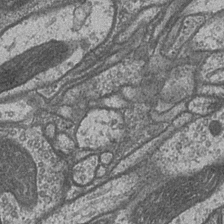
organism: Drosophila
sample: Optic medulla